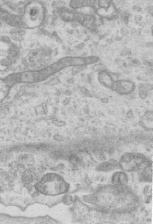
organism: Mouse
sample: Centriole in ependymal cells